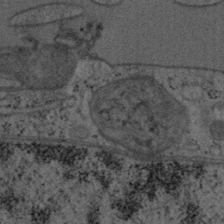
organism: Human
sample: HeLa cells